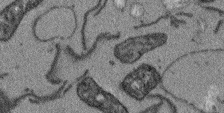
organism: Arabidopsis thaliana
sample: Root tip